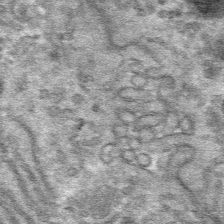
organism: Mouse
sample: Mouse hepatocytes